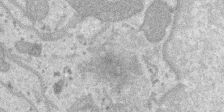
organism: Human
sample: Lung epithelial cells infected with SARS-CoV-2